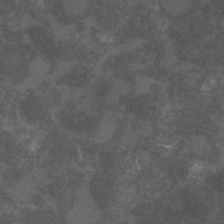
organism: C. elegans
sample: C. elegans embryo